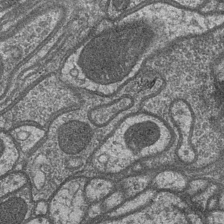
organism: Drosophila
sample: Optic medulla